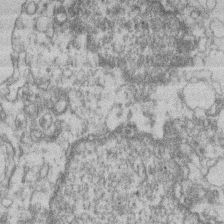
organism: Mouse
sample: T cell stromal cell synapse